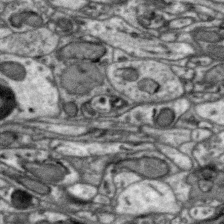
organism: Zebra finch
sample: Brain